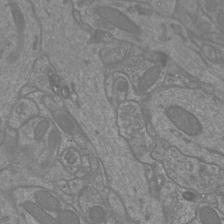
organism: Mouse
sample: Cortical neurons